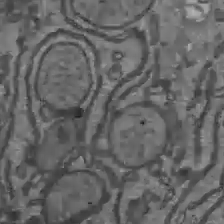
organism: C57BL Mouse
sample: Liver